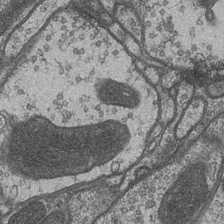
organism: Drosophila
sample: Optic medulla